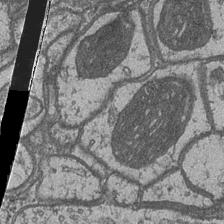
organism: Drosophila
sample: Optic medulla